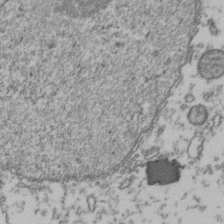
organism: Human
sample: Activated Jurkat CD4+ T cells